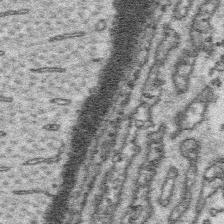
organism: Platynereis dumerilii